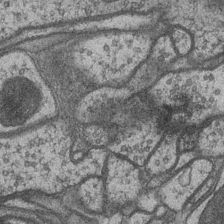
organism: Drosophila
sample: Optic medulla